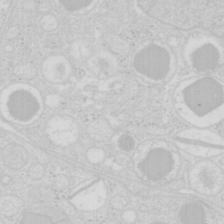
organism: Mouse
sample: Pancreas